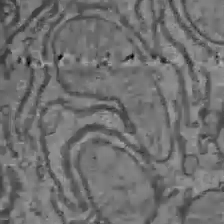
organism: C57BL Mouse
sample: Liver